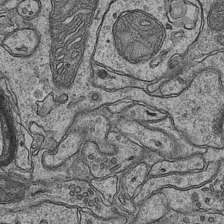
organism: Mouse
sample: CA1 Hippocampus